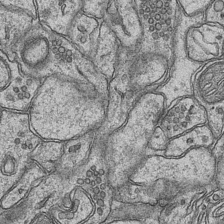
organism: Mouse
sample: CA1 Hippocampus